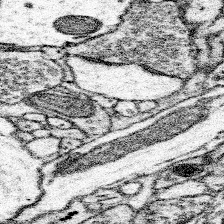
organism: Mouse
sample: Somatosensory cortex neuropil